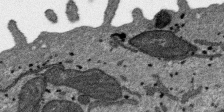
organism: Human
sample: Lung epithelial cells, uninfected (mock) control